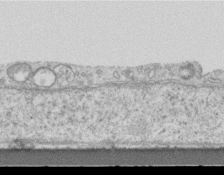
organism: Mouse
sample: Centriole in ependymal cells